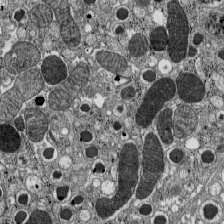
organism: C57BL Mouse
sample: Pancreatic islet